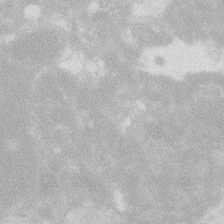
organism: Zebrafish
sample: Macrophage